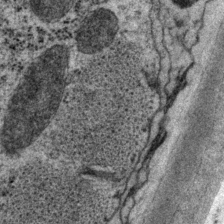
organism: P. pacificus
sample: Pharynx